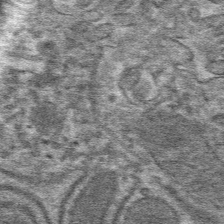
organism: Mouse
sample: Mouse hepatocytes